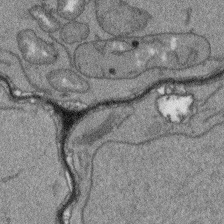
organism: Arabidopsis thaliana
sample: Root tip